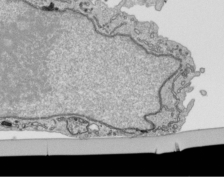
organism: Human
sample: Mitochondria in HCT116 cells